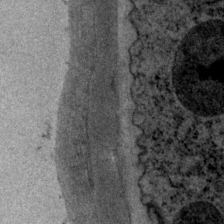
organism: P. pacificus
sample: Pharynx